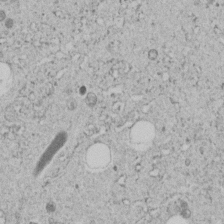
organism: C. elegans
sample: C. elegans embryo early stage